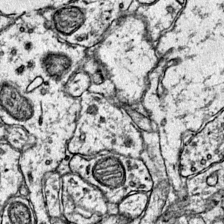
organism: Mouse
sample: Primary visual cortex